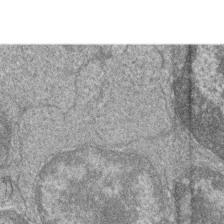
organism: Zebrafish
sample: Cilia; retinal pigment epithelium